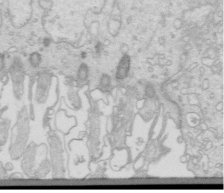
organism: Mouse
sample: Multiciliated cells